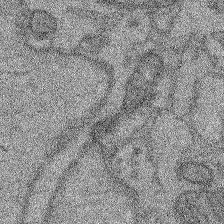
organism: Human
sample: HeLa cells